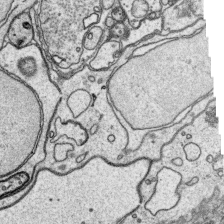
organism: Platynereis dumerilii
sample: Parapodia